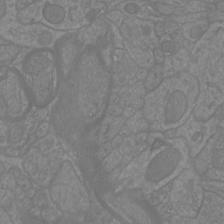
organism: Mouse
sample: Cortical neurons